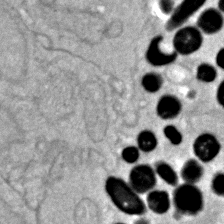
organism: Zebrafish